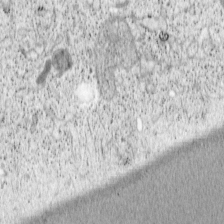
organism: African green monkey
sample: COS-7 cells